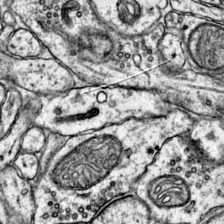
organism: Mouse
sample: Primary visual cortex